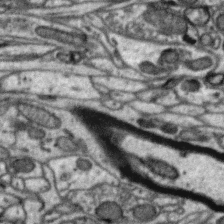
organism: Zebra finch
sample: Brain